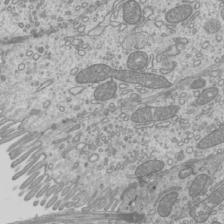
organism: Mouse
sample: Cilia; mouse epididymis